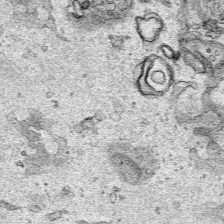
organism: Human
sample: Mitochondria in HCT116 cells